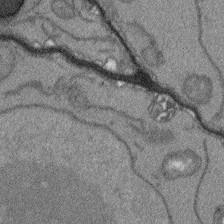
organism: Arabidopsis thaliana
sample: Root tip